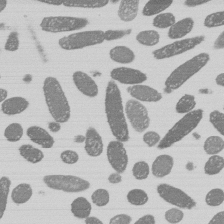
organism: E. coli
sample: Bacterial nucleoid